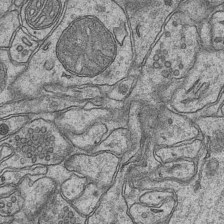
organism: Mouse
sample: CA1 Hippocampus